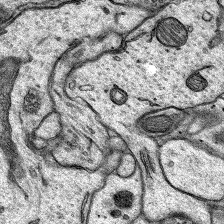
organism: Rat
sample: Hippocampus